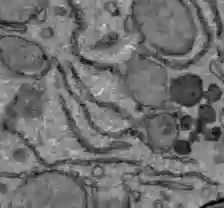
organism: C57BL Mouse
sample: Liver